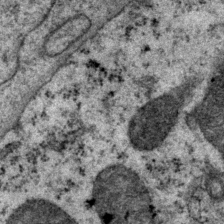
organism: P. pacificus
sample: Pharynx